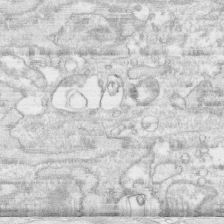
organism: Human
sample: CRL-1474